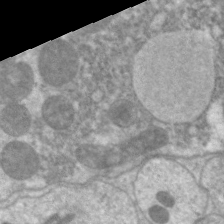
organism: C. elegans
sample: Pharynx